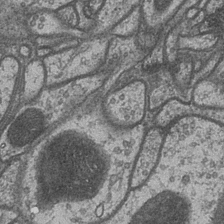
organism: Drosophila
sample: Optic medulla